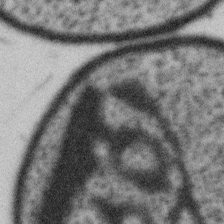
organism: Gemmata obscuriglobus